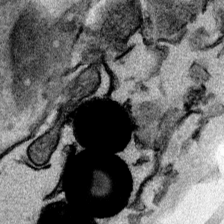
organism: Mouse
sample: Cancer cell death in ED-1 cells